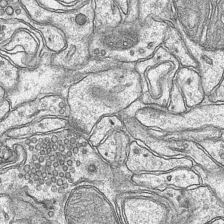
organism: Mouse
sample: CA1 Hippocampus